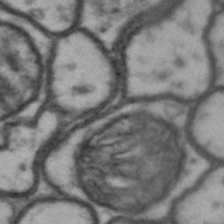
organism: Drosophila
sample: Brain